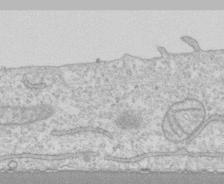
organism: Human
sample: CRL-1474